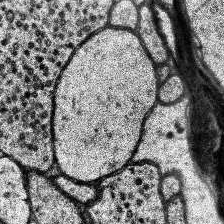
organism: Human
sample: Temporal Lobe